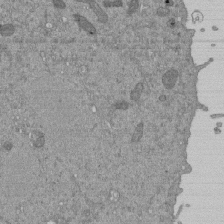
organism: Mouse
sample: ED-1 cell nuclei; centrioles